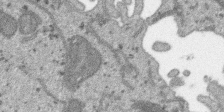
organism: Human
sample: Lung epithelial cells infected with SARS-CoV-2